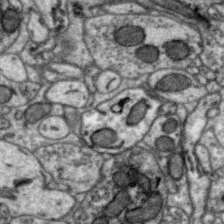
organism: Zebra finch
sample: Brain